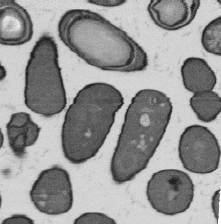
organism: B. subtilis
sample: Bacterial spore